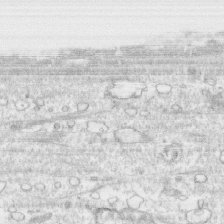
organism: Human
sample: CRL-1474